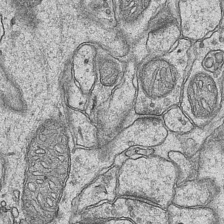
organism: Mouse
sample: CA1 Hippocampus